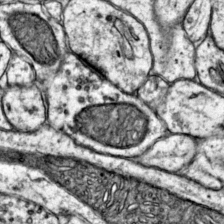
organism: Mouse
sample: Primary visual cortex